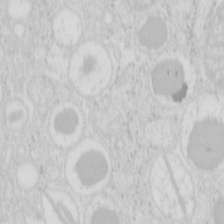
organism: Mouse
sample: Pancreas